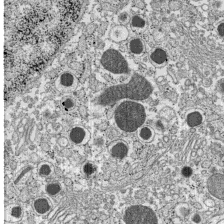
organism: C57BL Mouse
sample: Pancreatic islet